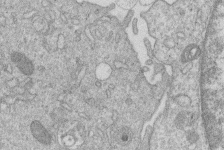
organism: Human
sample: Macrophage cells